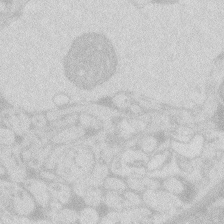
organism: Zebrafish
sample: Macrophage